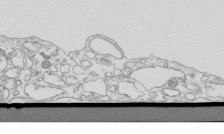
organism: Mouse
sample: Macrophages